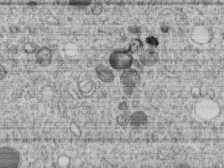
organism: C. elegans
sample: C. elegans embryo early stage